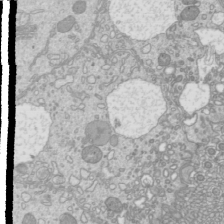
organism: Mouse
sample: Cilia; mouse epididymis